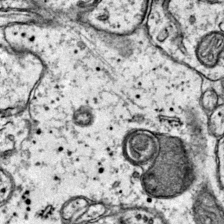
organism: Mouse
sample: Primary visual cortex